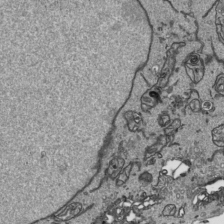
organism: Human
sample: Mitochondria in HCT116 cells